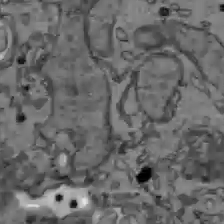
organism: C57BL Mouse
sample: Liver